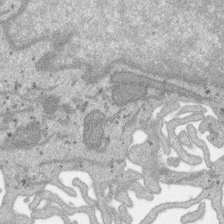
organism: Human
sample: Lung epithelial cells infected with SARS-CoV-2